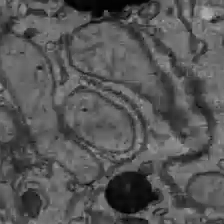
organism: C57BL Mouse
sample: Liver